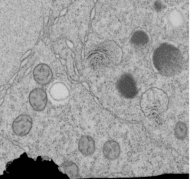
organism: C. elegans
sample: C. elegans embryo early stage